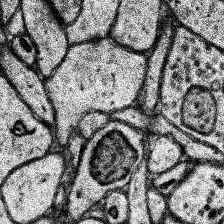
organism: Human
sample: Temporal Lobe